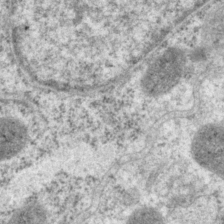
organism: P. pacificus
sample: Pharynx